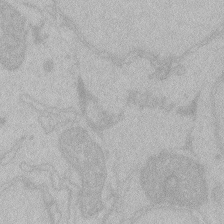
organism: Zebrafish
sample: Macrophage infected with Toxoplasma gondii